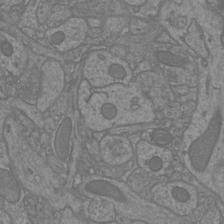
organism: Mouse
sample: Cortical neurons